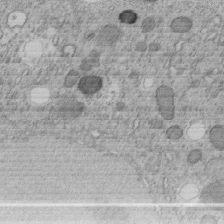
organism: C. elegans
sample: C. elegans embryo early stage